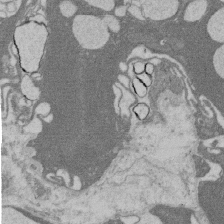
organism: Rat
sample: Salivary granule